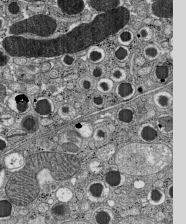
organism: C57BL Mouse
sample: Pancreatic islet